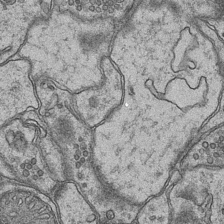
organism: Mouse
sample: CA1 Hippocampus